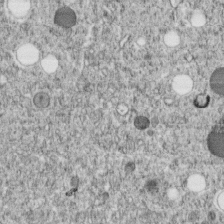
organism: C. elegans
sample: C. elegans embryo early stage